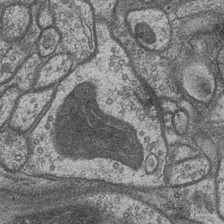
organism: Drosophila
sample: Optic medulla